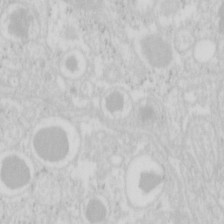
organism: Mouse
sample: Pancreas